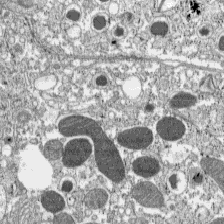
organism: C57BL Mouse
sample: Pancreatic islet